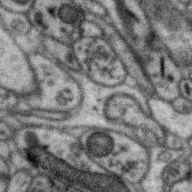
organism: Zebra finch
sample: Brain